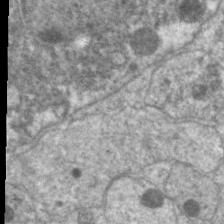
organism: C. elegans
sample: Pharynx